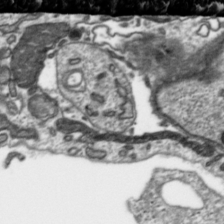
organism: Toxoplasma gondii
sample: Parasites in a vacuole inside a host cell